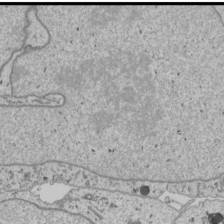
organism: Human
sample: Mitochondria in U2OS cells